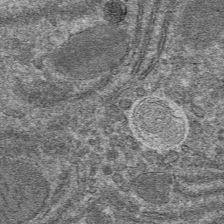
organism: Mouse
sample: Mouse hepatocytes